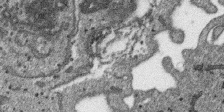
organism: Human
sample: Lung epithelial cells infected with SARS-CoV-2